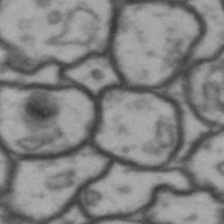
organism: Drosophila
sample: Brain